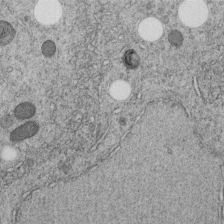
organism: C. elegans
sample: C. elegans embryo early stage